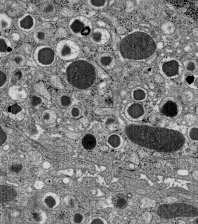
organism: C57BL Mouse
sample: Pancreatic islet